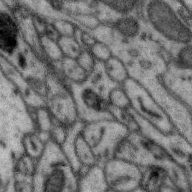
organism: Zebra finch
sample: Brain